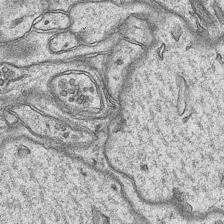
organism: Mouse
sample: CA1 Hippocampus